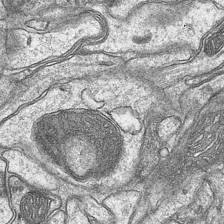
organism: Mouse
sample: CA1 Hippocampus